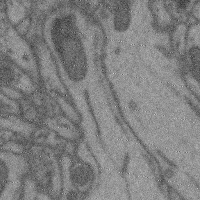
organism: Mouse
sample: Cerebral cortex